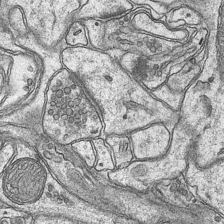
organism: Mouse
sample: CA1 Hippocampus